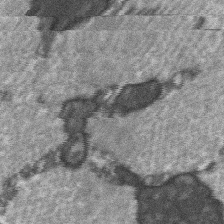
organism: C57BL Mouse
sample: Soleus